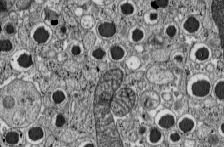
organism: C57BL Mouse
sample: Pancreatic islet